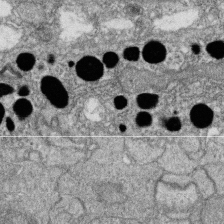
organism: Zebrafish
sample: Cilia; retinal pigment epithelium